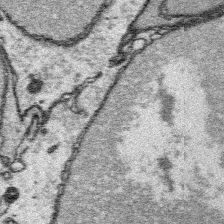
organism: Platynereis dumerilii